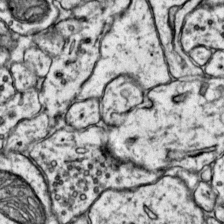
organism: Mouse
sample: Primary visual cortex